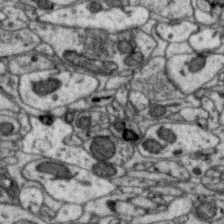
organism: Zebra finch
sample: Brain